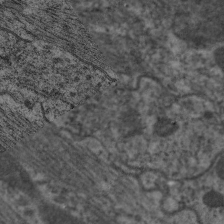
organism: C. elegans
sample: Pharynx